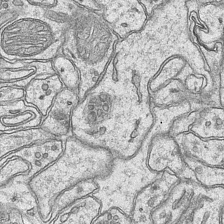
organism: Mouse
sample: CA1 Hippocampus